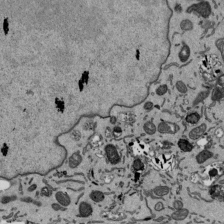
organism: Mouse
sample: ED-1 cell nuclei; centrioles